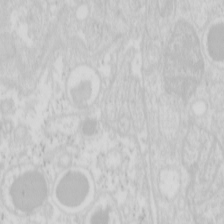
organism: Mouse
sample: Pancreas